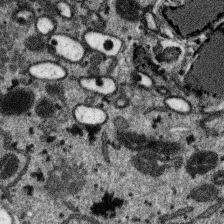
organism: Human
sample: Lung epithelial cells infected with SARS-CoV-2